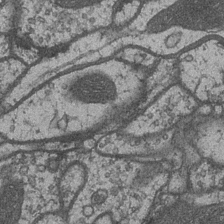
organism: Drosophila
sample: Optic medulla